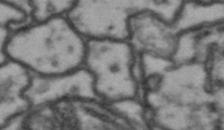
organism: Drosophila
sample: Brain